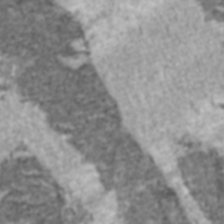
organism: C57BL Mouse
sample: Heart